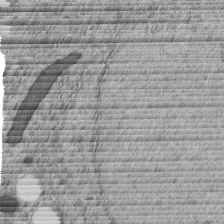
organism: C. elegans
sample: C. elegans embryo early stage